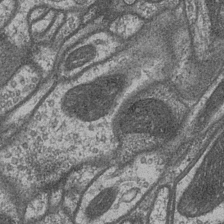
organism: Drosophila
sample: Optic medulla